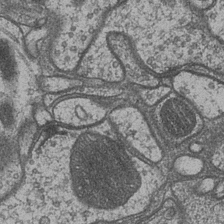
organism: Drosophila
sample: Optic medulla